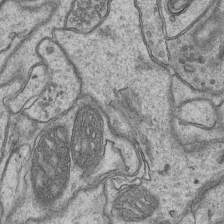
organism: Mouse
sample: CA1 Hippocampus